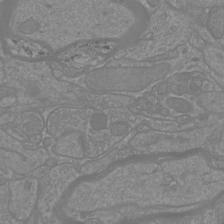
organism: Mouse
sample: Cortical neurons